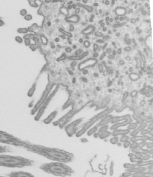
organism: Mouse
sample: Mouse epididymis efferent ductule cilia